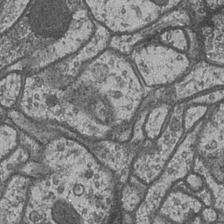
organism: Drosophila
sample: Optic medulla